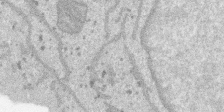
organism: Human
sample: Lung epithelial cells infected with SARS-CoV-2